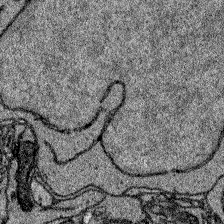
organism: Zebrafish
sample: Larval olfactory bulb